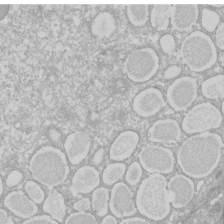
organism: Xenopus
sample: Cilia; centrioles in frog embryo cells